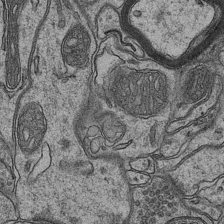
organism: Mouse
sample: CA1 Hippocampus